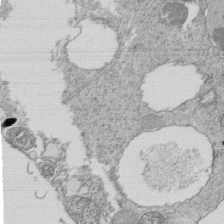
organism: Tetrahymena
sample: Cilia in tetrahymena